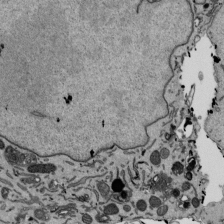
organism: Mouse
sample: ED-1 cell nuclei; centrioles